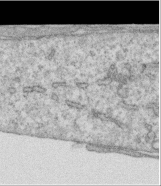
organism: Human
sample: Centriole in RPE cells